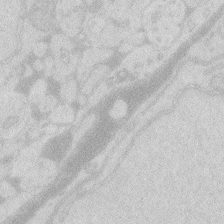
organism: Zebrafish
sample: Macrophage